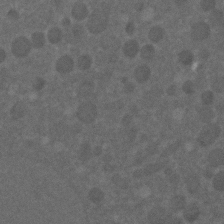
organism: C. elegans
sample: C. elegans embryo